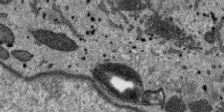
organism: Human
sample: Lung epithelial cells, uninfected (mock) control